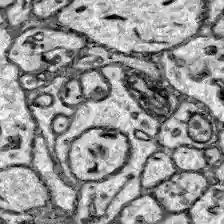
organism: Zebrafish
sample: Brain